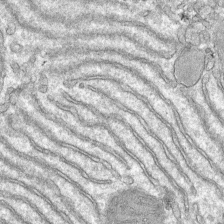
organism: Mouse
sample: Mouse hepatocytes